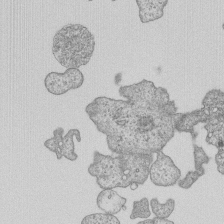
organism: Human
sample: MDA-MB-231 cells